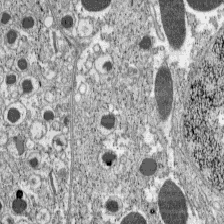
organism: C57BL Mouse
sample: Pancreatic islet